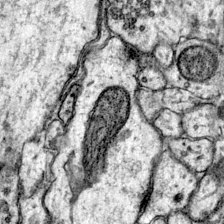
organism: Mouse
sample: Primary visual cortex